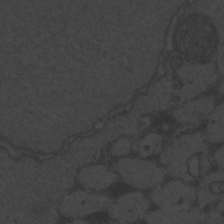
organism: Zebrafish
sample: Macrophage infected with Toxoplasma gondii